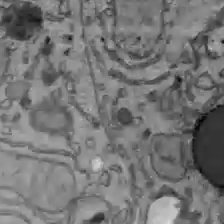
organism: C57BL Mouse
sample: Liver